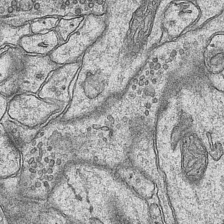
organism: Mouse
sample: CA1 Hippocampus